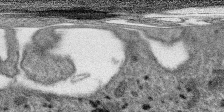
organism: Human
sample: Lung epithelial cells infected with SARS-CoV-2